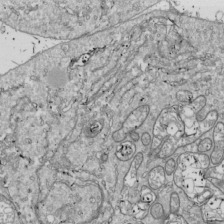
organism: Drosophila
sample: Cell division; meiosis; drosophila spermatocytes